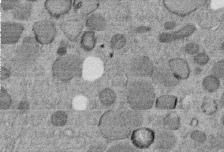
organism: C. elegans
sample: C. elegans embryo early stage